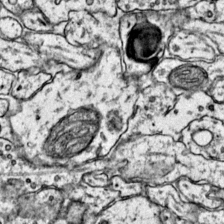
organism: Mouse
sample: Primary visual cortex